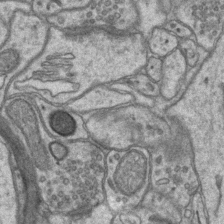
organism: Mouse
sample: CA1 Hippocampus